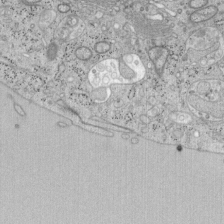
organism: Mouse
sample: OT-I killer T cells with ID8 ovarian cancer cells